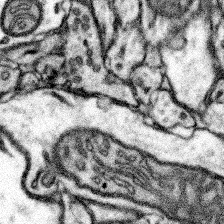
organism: Mouse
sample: Somatosensory cortex neuropil